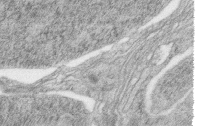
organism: Zebrafish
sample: synaptic ribbons in rod cells and cone cells